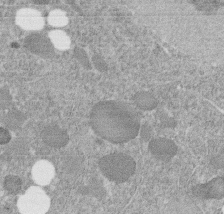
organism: C. elegans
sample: C. elegans embryo early stage